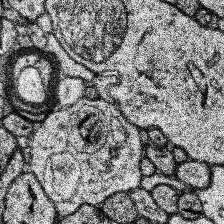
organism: Human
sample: Temporal Lobe